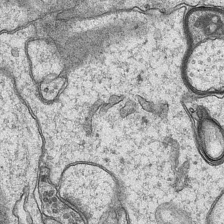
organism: Mouse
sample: CA1 Hippocampus